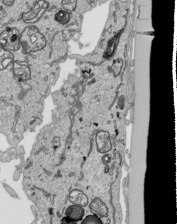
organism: Human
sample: Mitochondria in HCT116 cells